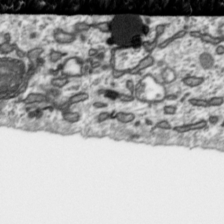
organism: Toxoplasma gondii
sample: Parasites in a vacuole inside a host cell